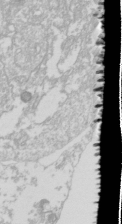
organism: Drosophila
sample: Cell division; meiosis; drosophila spermatocytes